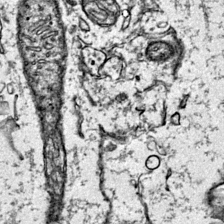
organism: Mouse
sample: Primary visual cortex